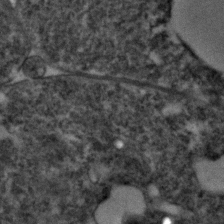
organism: Zebrafish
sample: Zebrafish embryo